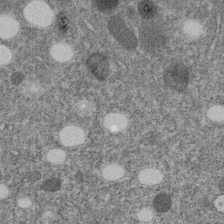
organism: C. elegans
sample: C. elegans embryo early stage